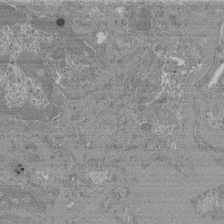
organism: Mouse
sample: Glomerulus